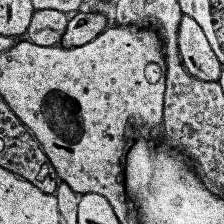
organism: Human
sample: Temporal Lobe